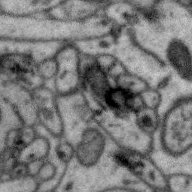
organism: Zebra finch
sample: Brain